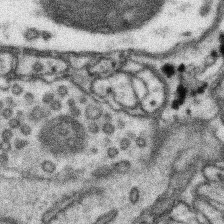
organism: Mouse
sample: Somatosensory cortex neuropil